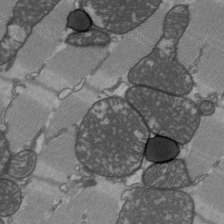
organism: C57BL Mouse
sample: Heart